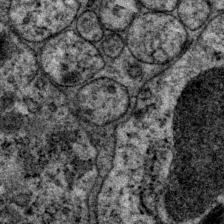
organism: P. pacificus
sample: Pharynx